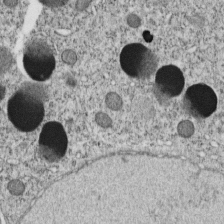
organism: C. elegans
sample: C. elegans embryo early stage